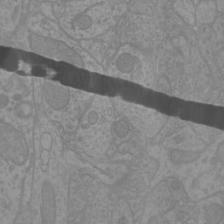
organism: Mouse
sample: Cortical neurons